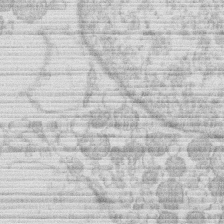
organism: Human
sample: Macrophage cells